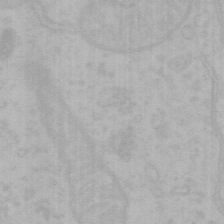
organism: Mouse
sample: Choroid plexus